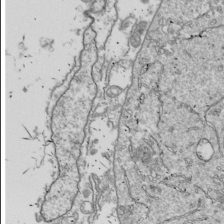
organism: Drosophila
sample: Cell division; meiosis; drosophila spermatocytes